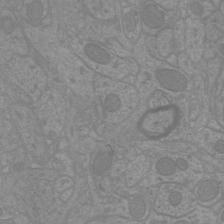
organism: Mouse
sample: Cortical neurons